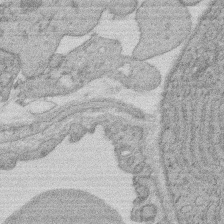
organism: Rat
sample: Salivary granule